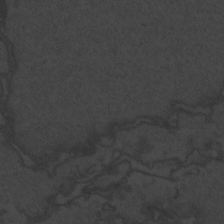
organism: Zebrafish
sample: Macrophage infected with Toxoplasma gondii